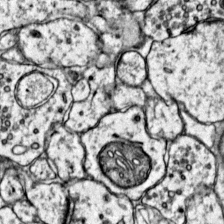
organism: Mouse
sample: Primary visual cortex